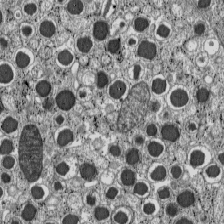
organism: C57BL Mouse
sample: Pancreatic islet